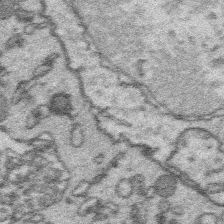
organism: Platynereis dumerilii